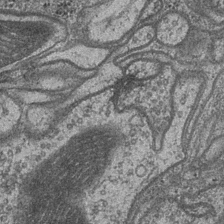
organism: Drosophila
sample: Optic medulla